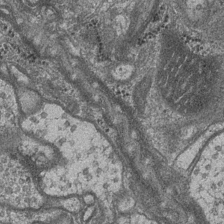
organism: Drosophila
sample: Optic medulla